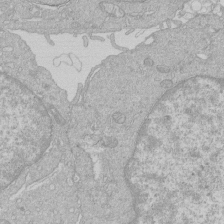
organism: Human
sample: Macrophage cells